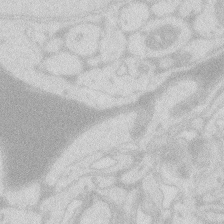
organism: Zebrafish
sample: Macrophage